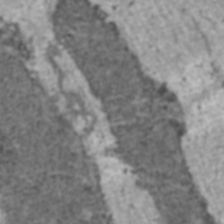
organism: C57BL Mouse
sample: Heart